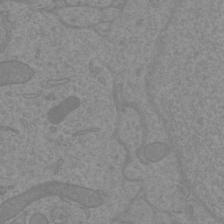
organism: Mouse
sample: Cortical neurons